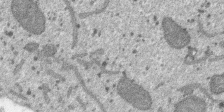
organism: Human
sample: Lung epithelial cells infected with SARS-CoV-2